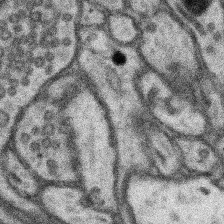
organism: Mouse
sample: Somatosensory cortex neuropil